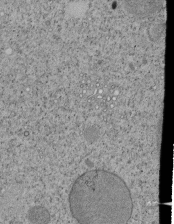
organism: Tetrahymena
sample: Cilia in tetrahymena